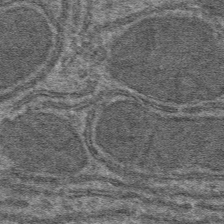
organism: Mouse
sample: Mouse hepatocytes